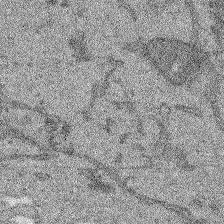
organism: Human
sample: HeLa cells